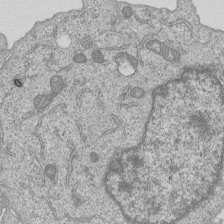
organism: Human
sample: MDA-MB-231 cells